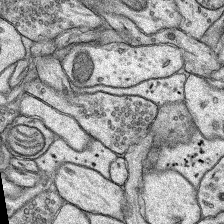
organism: Rat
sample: Hippocampus